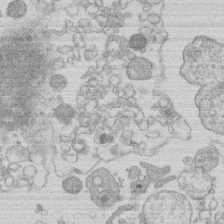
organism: Human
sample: Macrophage cells